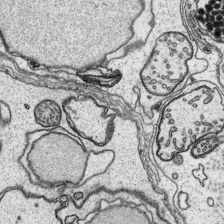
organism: Platynereis dumerilii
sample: Parapodia